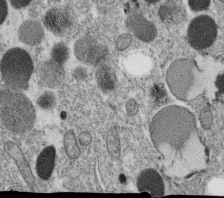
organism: C. elegans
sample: C. elegans oocyte; sperm cells